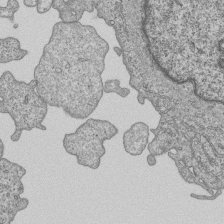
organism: Human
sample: MDA-MB-231 cells